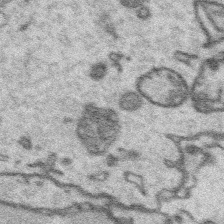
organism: Platynereis dumerilii